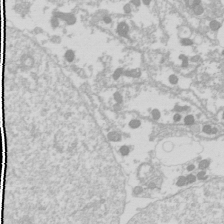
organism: Drosophila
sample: Cell division; meiosis; drosophila spermatocytes